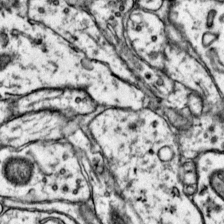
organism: Mouse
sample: Primary visual cortex